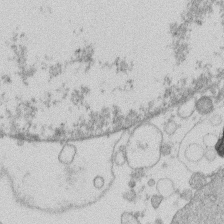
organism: Human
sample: Macrophage cells